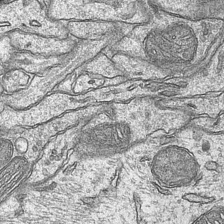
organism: Mouse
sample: CA1 Hippocampus